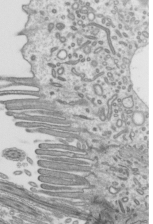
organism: Mouse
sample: Mouse epididymis efferent ductule cilia